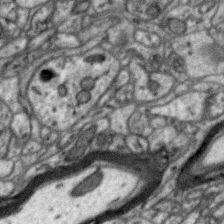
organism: Zebra finch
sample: Brain